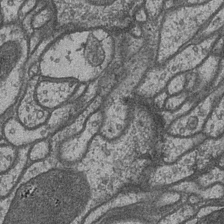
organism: Drosophila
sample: Optic medulla